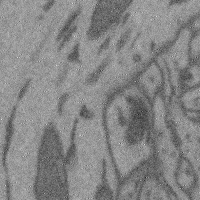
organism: Mouse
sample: Cerebral cortex